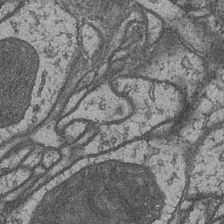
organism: Drosophila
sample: Optic medulla